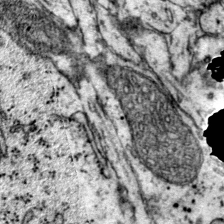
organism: Mouse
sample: Primary visual cortex